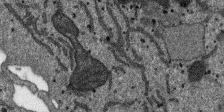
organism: Human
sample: Lung epithelial cells infected with SARS-CoV-2